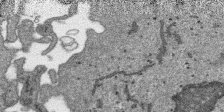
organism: Human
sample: Lung epithelial cells infected with SARS-CoV-2